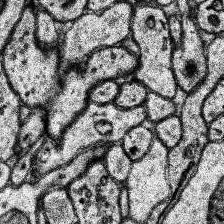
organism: Human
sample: Temporal Lobe